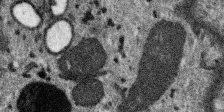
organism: Human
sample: Lung epithelial cells infected with SARS-CoV-2